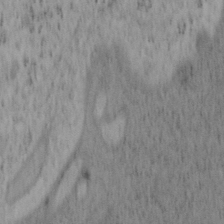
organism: Mouse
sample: OT-I killer T cells with ID8 ovarian cancer cells